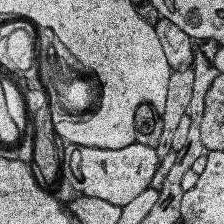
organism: Human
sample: Temporal Lobe